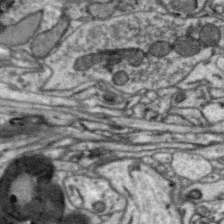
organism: Zebra finch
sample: Brain